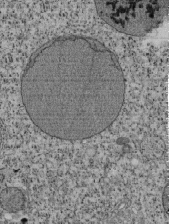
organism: Tetrahymena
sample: Cilia in tetrahymena